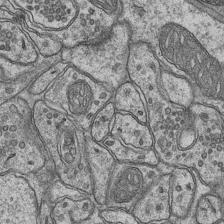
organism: Mouse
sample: CA1 Hippocampus